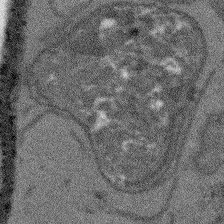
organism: Arabidopsis thaliana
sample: Root tip